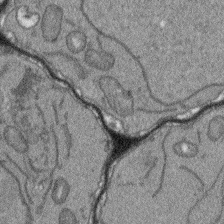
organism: Arabidopsis thaliana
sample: Root tip